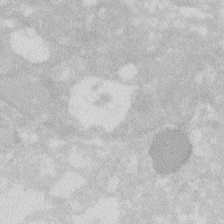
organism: Zebrafish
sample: Macrophage